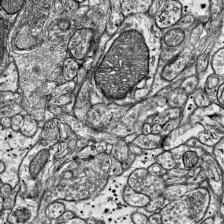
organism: Mouse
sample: Visual Cortex